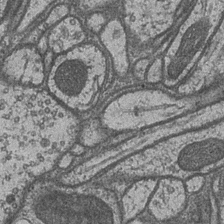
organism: Drosophila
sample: Optic medulla